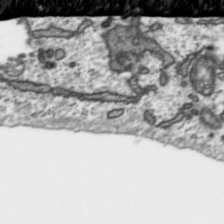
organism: Toxoplasma gondii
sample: Parasites in a vacuole inside a host cell